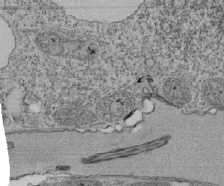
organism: Tetrahymena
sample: Cilia in tetrahymena